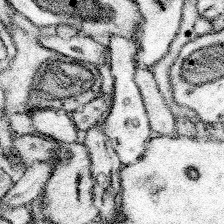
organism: Mouse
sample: Somatosensory cortex neuropil